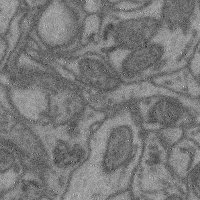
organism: Mouse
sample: Cerebral cortex